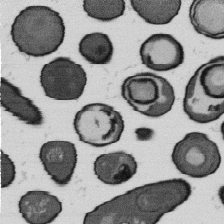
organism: B. subtilis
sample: Bacterial spore